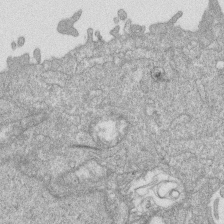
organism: Human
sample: HeLa cell HIV synapse